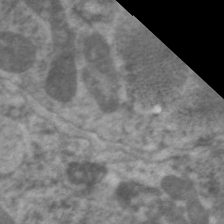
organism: C. elegans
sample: Pharynx